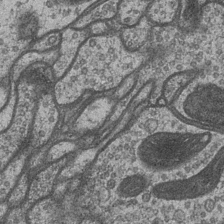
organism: Drosophila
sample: Optic medulla